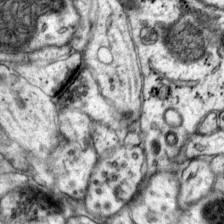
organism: Mouse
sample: Primary visual cortex